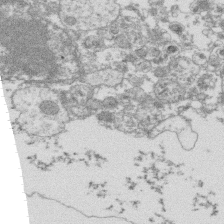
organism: Human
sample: HeLa cell HIV synapse